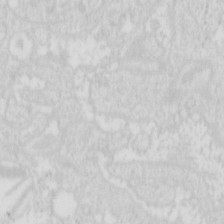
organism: Mouse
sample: Pancreas